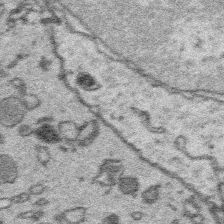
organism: Platynereis dumerilii